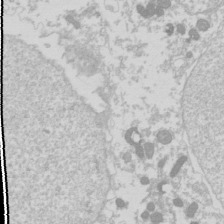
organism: Drosophila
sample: Cell division; meiosis; drosophila spermatocytes